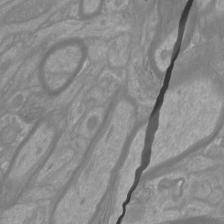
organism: Mouse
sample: Cortical neurons